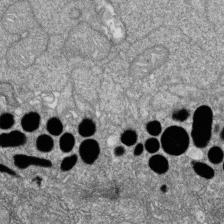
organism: Zebrafish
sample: Cilia; retinal pigment epithelium